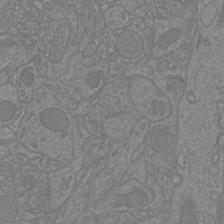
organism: Mouse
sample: Cortical neurons